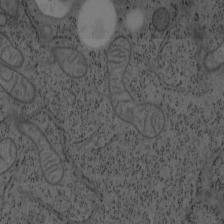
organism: Mouse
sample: OT-I killer T cells with ID8 ovarian cancer cells